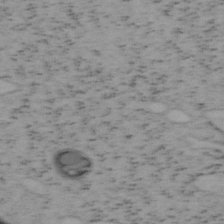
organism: Mouse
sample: OT-I killer T cells with ID8 ovarian cancer cells